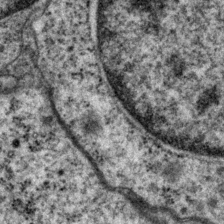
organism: P. pacificus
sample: Pharynx